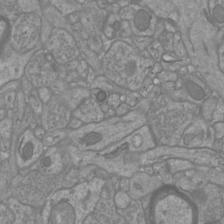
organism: Mouse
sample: Cortical neurons